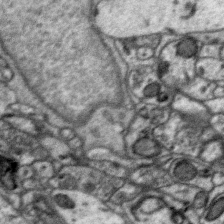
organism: Zebra finch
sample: Brain